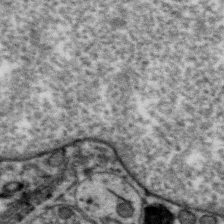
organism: Zebra finch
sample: Brain